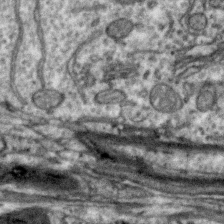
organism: Zebra finch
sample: Brain